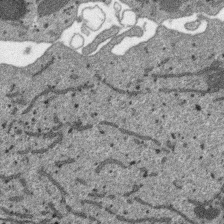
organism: Human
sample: Lung epithelial cells infected with SARS-CoV-2